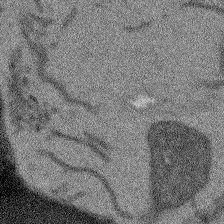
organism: Arabidopsis thaliana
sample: Root tip